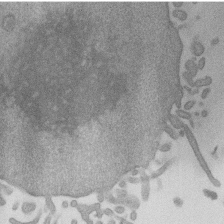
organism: Mouse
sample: Dividing mouse embryo 1 cell stage